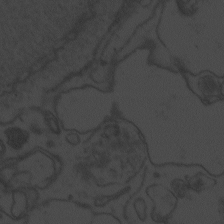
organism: Zebrafish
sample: Macrophage infected with Toxoplasma gondii